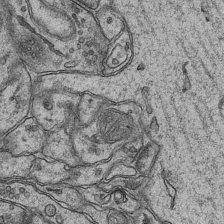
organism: Mouse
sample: CA1 Hippocampus